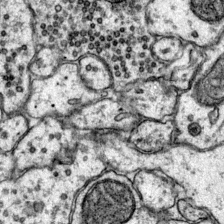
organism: Mouse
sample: Primary visual cortex